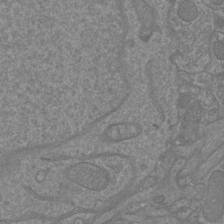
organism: Mouse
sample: Cortical neurons